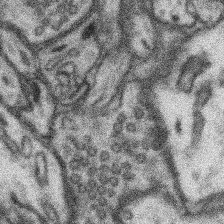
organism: Mouse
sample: Somatosensory cortex neuropil